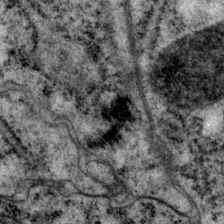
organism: P. pacificus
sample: Pharynx